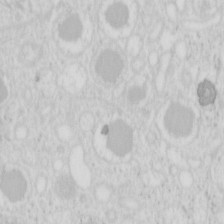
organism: Mouse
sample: Pancreas